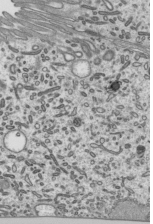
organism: Mouse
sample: Mouse epididymis efferent ductule cilia